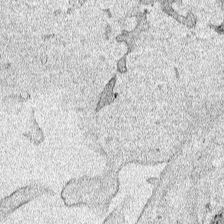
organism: Human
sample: Mitochondria in HCT116 cells